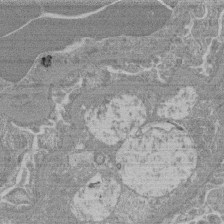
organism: Mouse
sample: Glomerulus